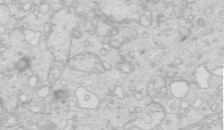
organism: Mouse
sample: Multiciliated cells